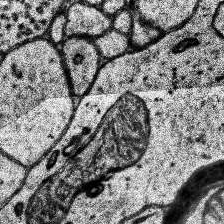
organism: Human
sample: Temporal Lobe